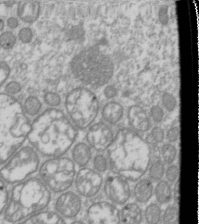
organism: Drosophila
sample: Cell division; meiosis; drosophila spermatocytes